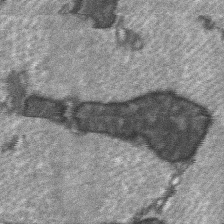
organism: C57BL Mouse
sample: Soleus